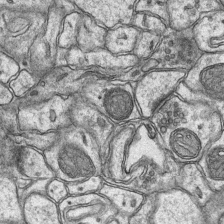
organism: Mouse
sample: CA1 Hippocampus